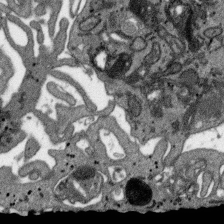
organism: Human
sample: Lung epithelial cells, uninfected (mock) control